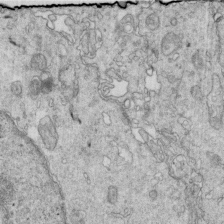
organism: Mouse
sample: Multiciliated cells